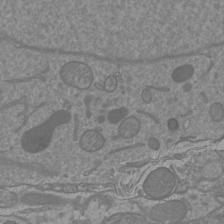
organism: Mouse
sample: Cortical neurons